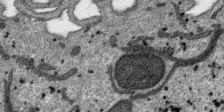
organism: Human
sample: Lung epithelial cells, uninfected (mock) control